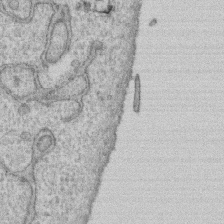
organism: Human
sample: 1205lu cells